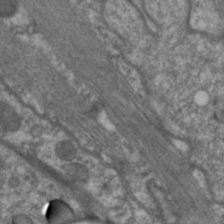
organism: C. elegans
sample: Pharynx